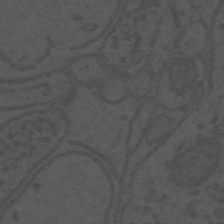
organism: Mouse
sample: Suprachiasmatic nucleus